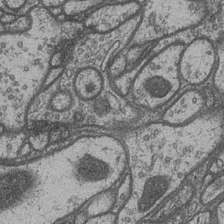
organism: Drosophila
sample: Optic medulla